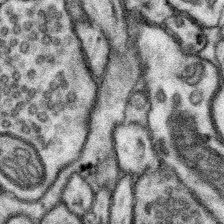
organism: Mouse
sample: Somatosensory cortex neuropil